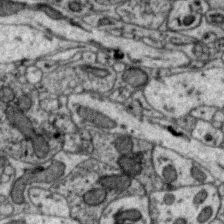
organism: Zebra finch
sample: Brain